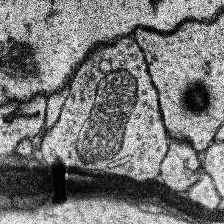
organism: Human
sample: Temporal Lobe